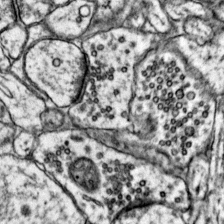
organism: Mouse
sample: Primary visual cortex